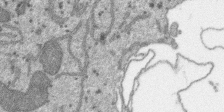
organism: Human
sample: Lung epithelial cells infected with SARS-CoV-2